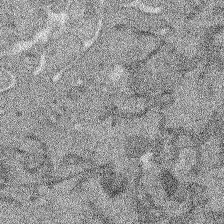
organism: Human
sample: HeLa cells